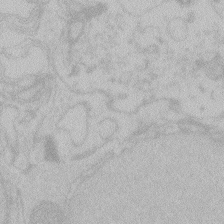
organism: Zebrafish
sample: Macrophage infected with Toxoplasma gondii